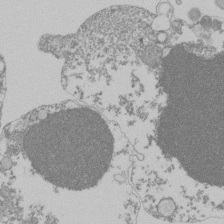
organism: Mouse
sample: Activated Pmel transgenic CD8+ T Cells